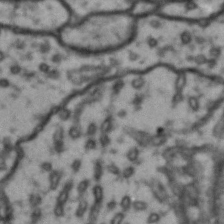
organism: Drosophila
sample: Brain